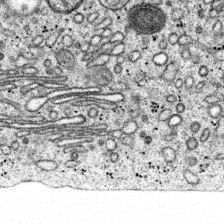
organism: Human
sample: HeLa cells